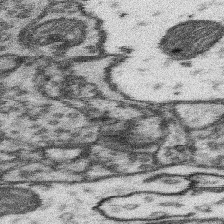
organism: Mouse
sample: Somatosensory cortex neuropil